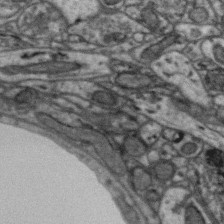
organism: Zebra finch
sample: Brain